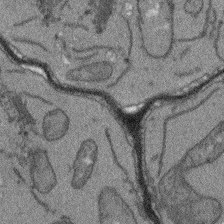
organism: Arabidopsis thaliana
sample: Root tip